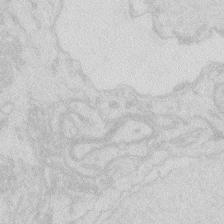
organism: Zebrafish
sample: Macrophage